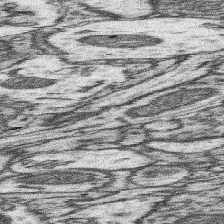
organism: Mouse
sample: Somatosensory cortex neuropil